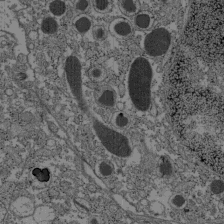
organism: C57BL Mouse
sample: Pancreatic islet